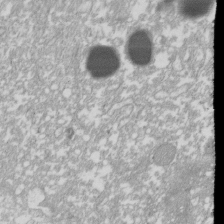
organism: Xenopus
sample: Cilia; centrioles in frog embryo cells